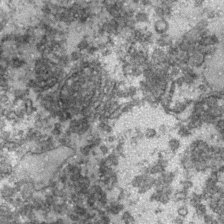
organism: Zebrafish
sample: Zebrafish embryo